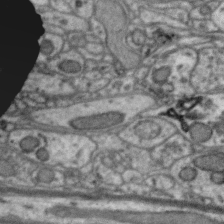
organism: Zebra finch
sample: Brain